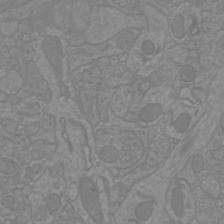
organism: Mouse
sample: Cortical neurons